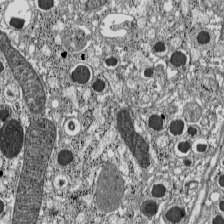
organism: C57BL Mouse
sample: Pancreatic islet